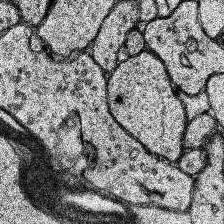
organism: Human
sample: Temporal Lobe